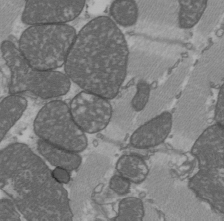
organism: C57BL Mouse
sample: Heart